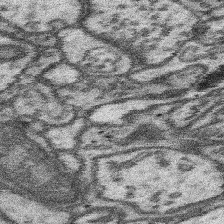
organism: Mouse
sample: Somatosensory cortex neuropil